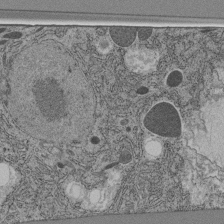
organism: C. elegans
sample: C. elegans pharynx